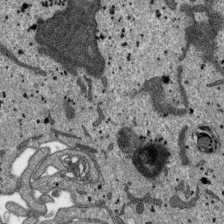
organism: Human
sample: Lung epithelial cells, uninfected (mock) control